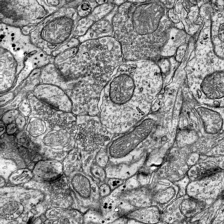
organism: Mouse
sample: Visual Cortex